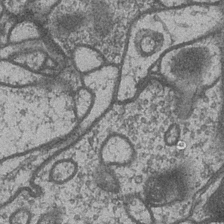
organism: Drosophila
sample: Optic medulla